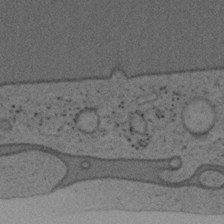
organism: Human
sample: HeLa cells